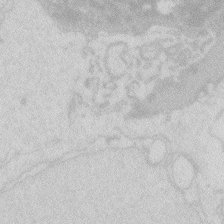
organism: Zebrafish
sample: Macrophage